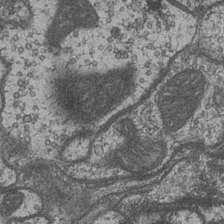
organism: Drosophila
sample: Optic medulla